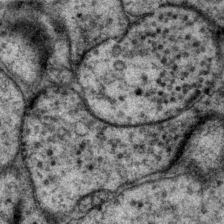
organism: P. pacificus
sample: Pharynx